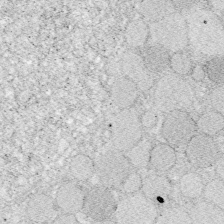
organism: Zebrafish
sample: Whole-Brain